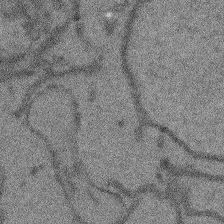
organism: Arabidopsis thaliana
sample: Root tip